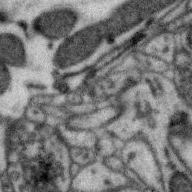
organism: Zebra finch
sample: Brain